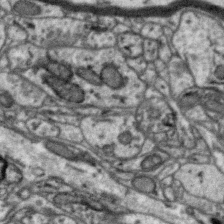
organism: Zebra finch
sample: Brain